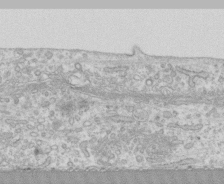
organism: Human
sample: CRL-1474